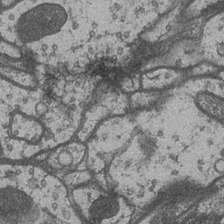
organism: Drosophila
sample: Optic medulla